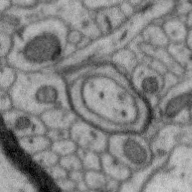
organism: Zebra finch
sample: Brain